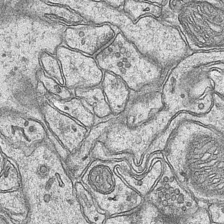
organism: Mouse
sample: CA1 Hippocampus